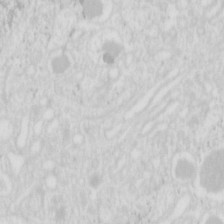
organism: Mouse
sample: Pancreas